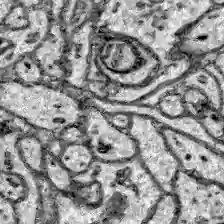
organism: Zebrafish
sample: Brain